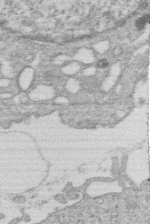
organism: Human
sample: Macrophage cells